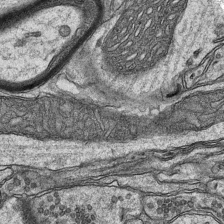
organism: Mouse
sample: CA1 Hippocampus